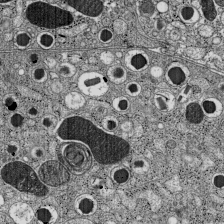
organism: C57BL Mouse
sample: Pancreatic islet